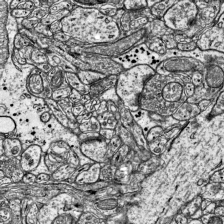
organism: Mouse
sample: Visual Cortex